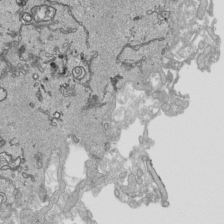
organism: Human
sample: Mitochondria in HCT116 cells